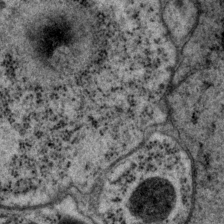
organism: P. pacificus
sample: Pharynx